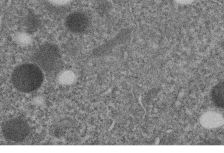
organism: C. elegans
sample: C. elegans embryo early stage